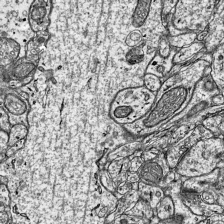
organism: Mouse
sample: Visual Cortex